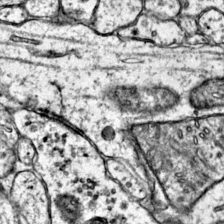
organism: Mouse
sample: Primary visual cortex